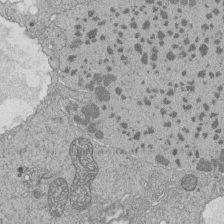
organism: Tetrahymena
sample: Cilia in tetrahymena